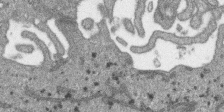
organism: Human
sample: Lung epithelial cells infected with SARS-CoV-2